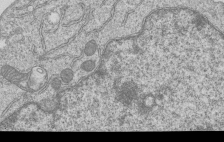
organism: Human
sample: MDA-MB-231 cells